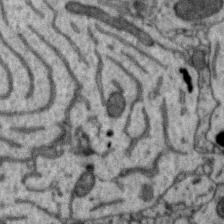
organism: Zebra finch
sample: Brain